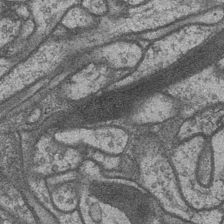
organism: Drosophila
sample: Optic medulla